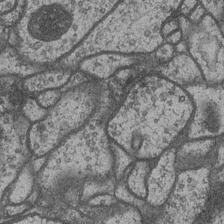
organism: Drosophila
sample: Optic medulla